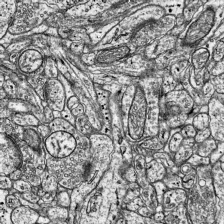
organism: Mouse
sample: Visual Cortex